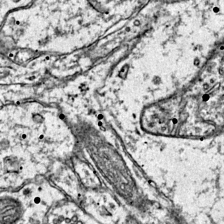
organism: Mouse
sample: Primary visual cortex